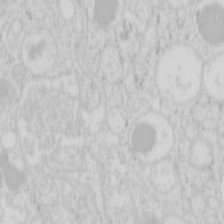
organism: Mouse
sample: Pancreas